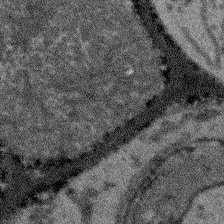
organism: Arabidopsis thaliana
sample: Root tip